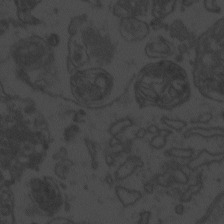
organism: Zebrafish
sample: Macrophage infected with Toxoplasma gondii